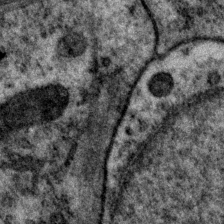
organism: P. pacificus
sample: Pharynx